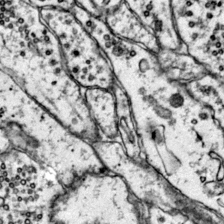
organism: Mouse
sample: Primary visual cortex